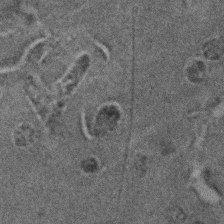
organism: C. elegans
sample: C. elegans embryo